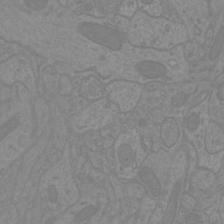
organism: Mouse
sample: Cortical neurons